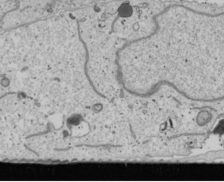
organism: Human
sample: Mitochondria in U2OS cells